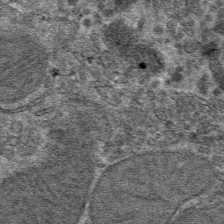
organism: Mouse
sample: Mouse hepatocytes